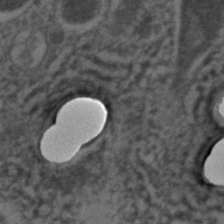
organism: C. elegans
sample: C. elegans embryo